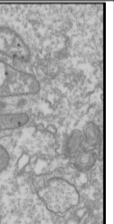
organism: Drosophila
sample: Cell division; meiosis; drosophila spermatocytes